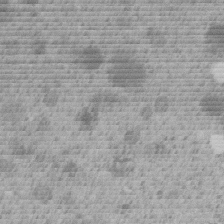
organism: C. elegans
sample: C. elegans embryo early stage